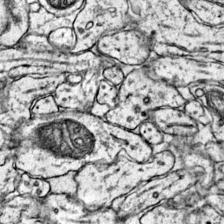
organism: Mouse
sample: Primary visual cortex